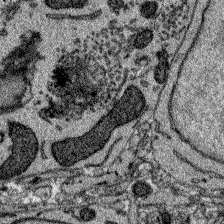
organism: Zebrafish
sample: Larval olfactory bulb